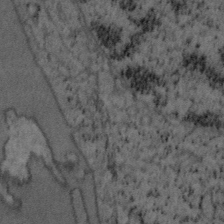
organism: Human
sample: HeLa cells